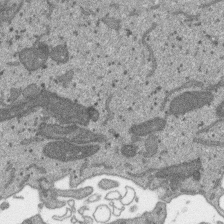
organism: Human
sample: Lung epithelial cells infected with SARS-CoV-2